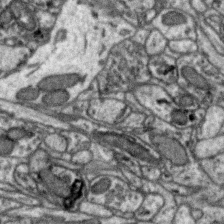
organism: Zebra finch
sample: Brain